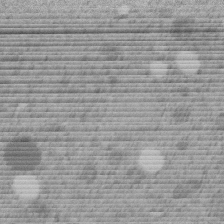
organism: C. elegans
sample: C. elegans embryo early stage